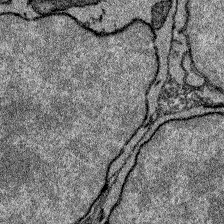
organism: Zebrafish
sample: Larval olfactory bulb